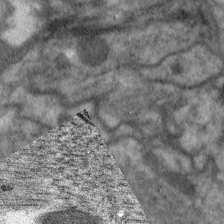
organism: C. elegans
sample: Pharynx